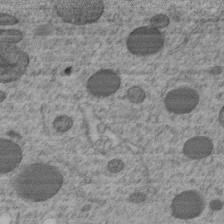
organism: C. elegans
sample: C. elegans embryo early stage